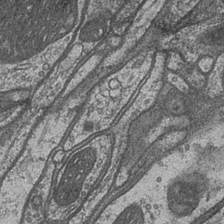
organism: Drosophila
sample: Optic medulla